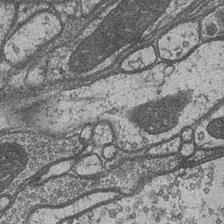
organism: Drosophila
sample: Optic medulla